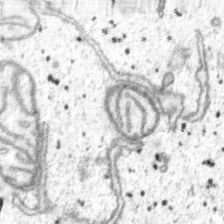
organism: Human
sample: HeLa cells